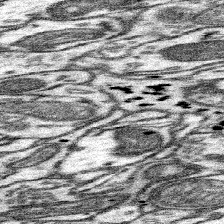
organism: Mouse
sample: Somatosensory cortex neuropil